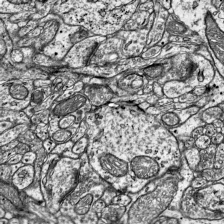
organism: Mouse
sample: Visual Cortex